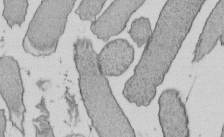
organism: E. coli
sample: Bacterial nucleoid